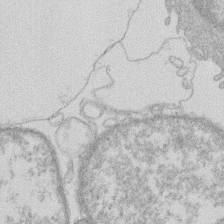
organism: Human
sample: Macrophage cells